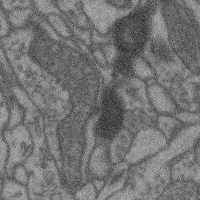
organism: Mouse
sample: Cerebral cortex